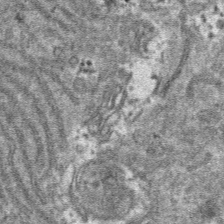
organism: Mouse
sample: Mouse hepatocytes